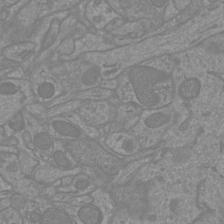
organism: Mouse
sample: Cortical neurons